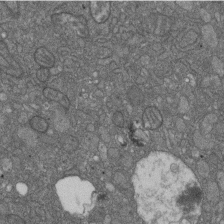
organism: Drosophila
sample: Nephrocyte